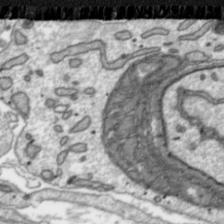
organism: Toxoplasma gondii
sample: Parasites in a vacuole inside a host cell